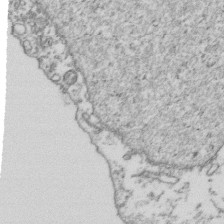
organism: Human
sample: Activated Jurkat CD4+ T cells